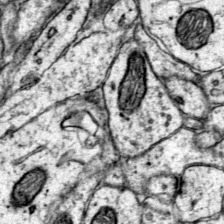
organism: Mouse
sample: Primary visual cortex